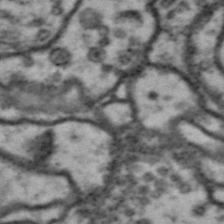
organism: Drosophila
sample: Brain